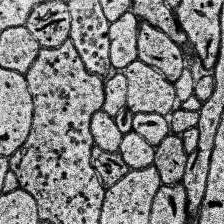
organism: Human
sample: Temporal Lobe